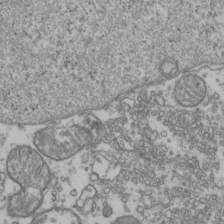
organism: Human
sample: Activated Jurkat CD4+ T cells